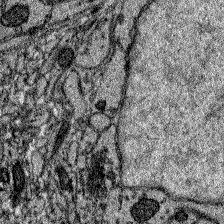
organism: Zebrafish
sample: Larval olfactory bulb